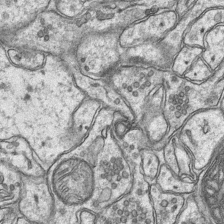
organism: Mouse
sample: CA1 Hippocampus